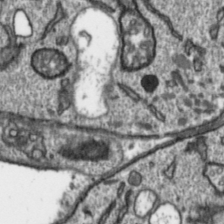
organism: Toxoplasma gondii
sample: Parasites in a vacuole inside a host cell